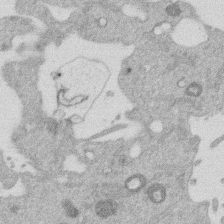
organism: Mouse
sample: Dividing mouse embryo 1 cell stage